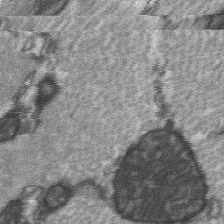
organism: C57BL Mouse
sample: Soleus